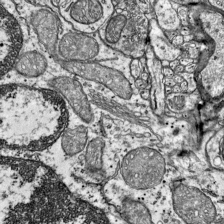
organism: Mouse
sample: Visual Cortex